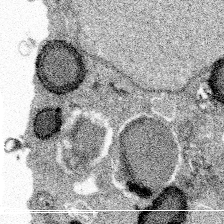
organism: Spongilla lacustris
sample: Multiple